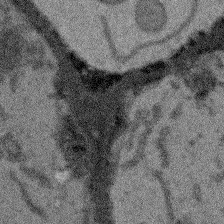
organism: Arabidopsis thaliana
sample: Root tip